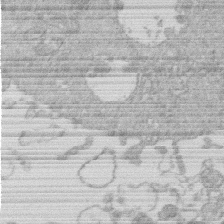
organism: Human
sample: Macrophage cells